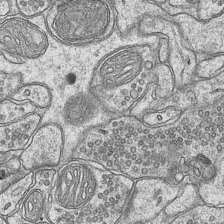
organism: Mouse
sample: CA1 Hippocampus